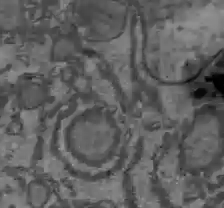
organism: C57BL Mouse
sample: Liver